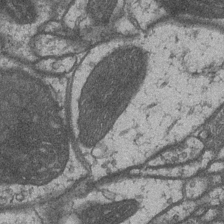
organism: Drosophila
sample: Optic medulla